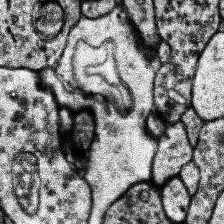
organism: Human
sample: Temporal Lobe